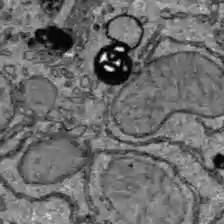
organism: C57BL Mouse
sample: Liver